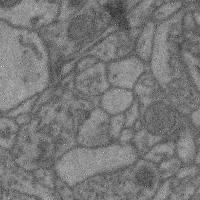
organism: Mouse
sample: Cerebral cortex